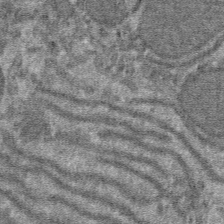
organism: Mouse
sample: Mouse hepatocytes